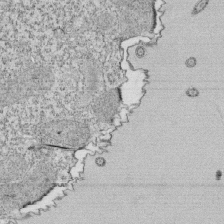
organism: Tetrahymena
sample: Cilia in tetrahymena